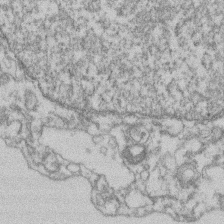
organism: Mouse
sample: T cell stromal cell synapse